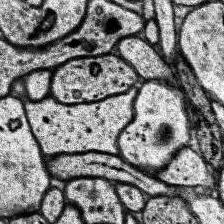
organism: Human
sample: Temporal Lobe